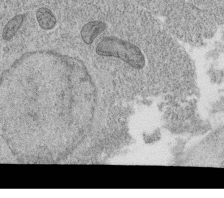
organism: C. elegans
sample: C. elegans oocyte; sperm cells